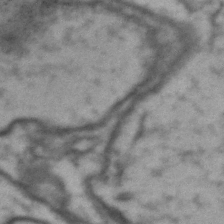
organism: Drosophila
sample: Brain